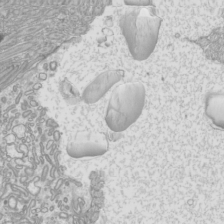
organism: Mouse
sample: Cilia; mouse epididymis